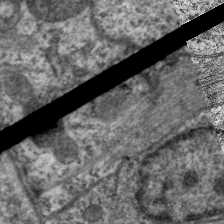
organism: C. elegans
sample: Pharynx